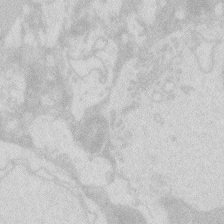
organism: Zebrafish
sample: Macrophage